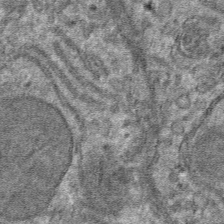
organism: Mouse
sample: Mouse hepatocytes